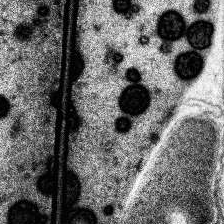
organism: Human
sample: Temporal Lobe